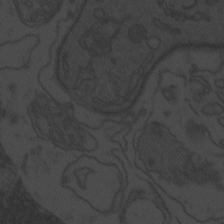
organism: Zebrafish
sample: Macrophage infected with Toxoplasma gondii